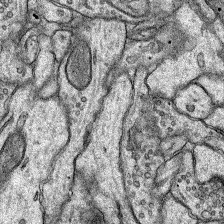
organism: Rat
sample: Hippocampus